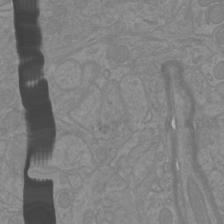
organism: Mouse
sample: Cortical neurons